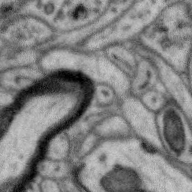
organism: Zebra finch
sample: Brain